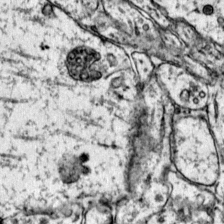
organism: Mouse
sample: Primary visual cortex